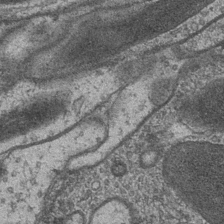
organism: Drosophila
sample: Optic medulla